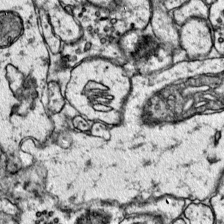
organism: Mouse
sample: Primary visual cortex